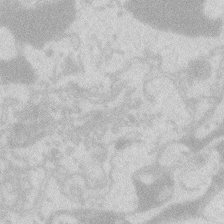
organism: Zebrafish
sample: Macrophage